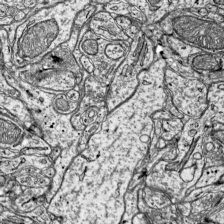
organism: Mouse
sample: Visual Cortex